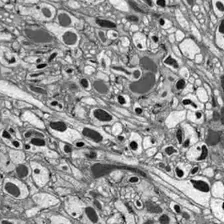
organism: Drosophila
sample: Optic lobe